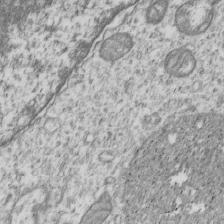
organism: Human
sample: MDA-MB-231 cells